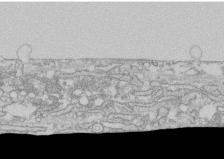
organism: Human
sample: CRL-1474